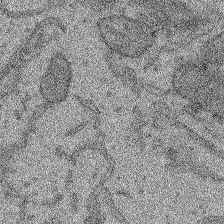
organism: Human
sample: HeLa cells